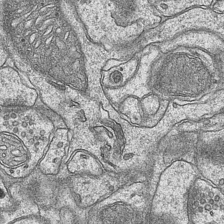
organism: Mouse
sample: CA1 Hippocampus